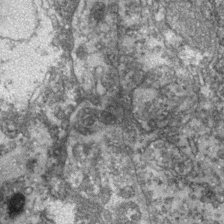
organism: Zebrafish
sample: Zebrafish embryo